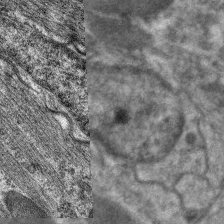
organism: C. elegans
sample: Pharynx